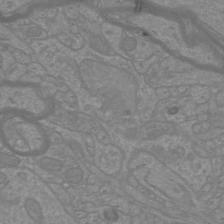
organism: Mouse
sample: Cortical neurons